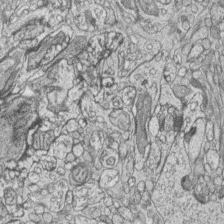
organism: Zebrafish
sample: synaptic ribbons in rod cells and cone cells